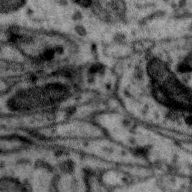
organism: Zebra finch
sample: Brain